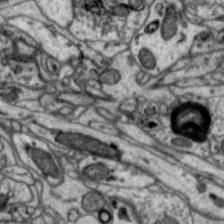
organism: Zebra finch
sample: Brain